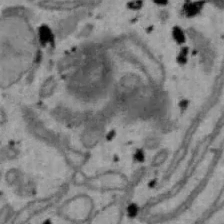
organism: Mouse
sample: Liver